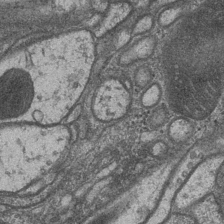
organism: Drosophila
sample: Optic medulla